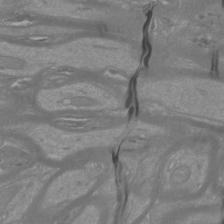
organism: Mouse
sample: Cortical neurons